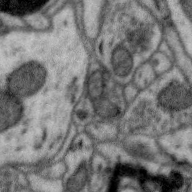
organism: Zebra finch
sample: Brain